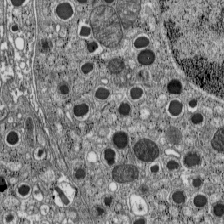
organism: C57BL Mouse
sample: Pancreatic islet